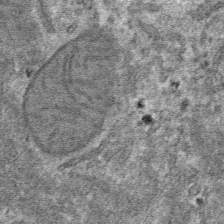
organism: Mouse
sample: Mouse hepatocytes